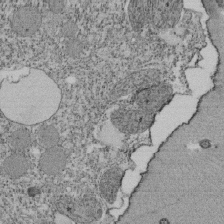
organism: Tetrahymena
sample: Cilia in tetrahymena